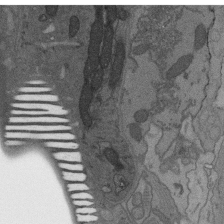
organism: C. elegans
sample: AFD neurons C. elegans